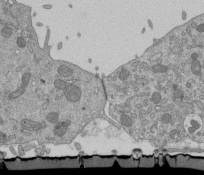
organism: Mouse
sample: ED-1 cell nuclei; centrioles